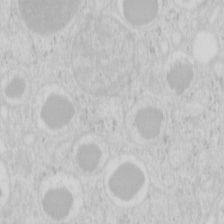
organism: Mouse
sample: Pancreas